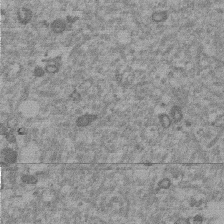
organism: Mouse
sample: Dividing mouse embryo 1 cell stage